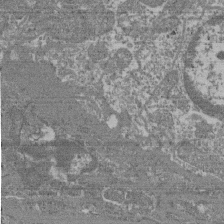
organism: Mouse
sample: Glomerulus